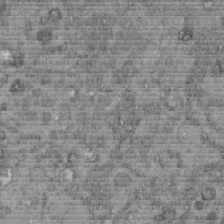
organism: C. elegans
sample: C. elegans embryo early stage